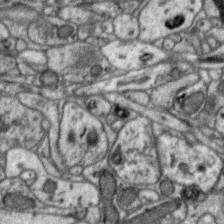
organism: Zebra finch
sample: Brain